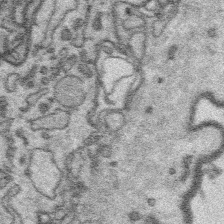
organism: Platynereis dumerilii